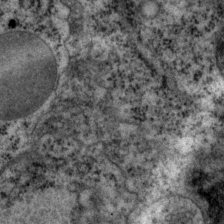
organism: P. pacificus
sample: Pharynx